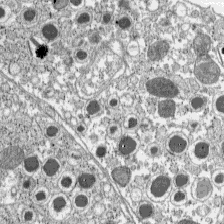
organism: C57BL Mouse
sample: Pancreatic islet